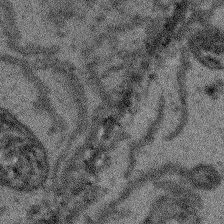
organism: Arabidopsis thaliana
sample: Root tip